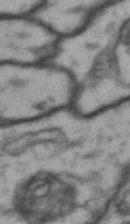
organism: Drosophila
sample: Brain